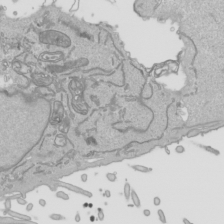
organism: Human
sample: Mitochondria in HCT116 cells